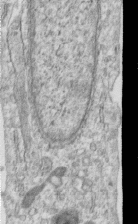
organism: Human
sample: Centriole in RPE cells